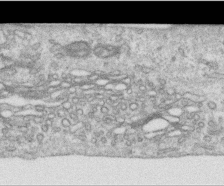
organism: Human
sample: Centriole in RPE cells